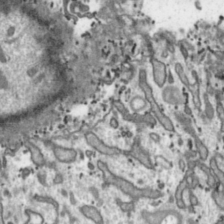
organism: Toxoplasma gondii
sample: Parasites in a vacuole inside a host cell